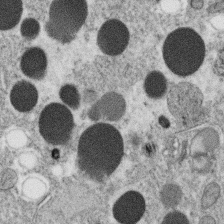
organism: C. elegans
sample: C. elegans oocyte; sperm cells